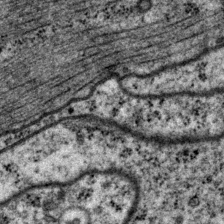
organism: P. pacificus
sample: Pharynx